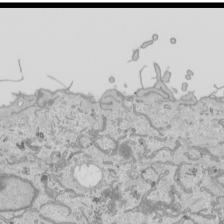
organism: Human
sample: Mitochondria in HCT116 cells